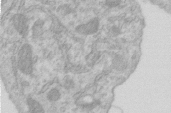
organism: Human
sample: Centriole in RPE cells